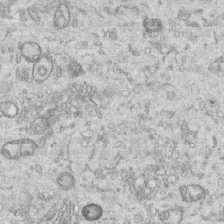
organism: Human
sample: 1205lu cells